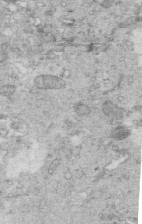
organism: Mouse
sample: Multiciliated cells